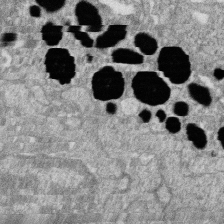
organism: Zebrafish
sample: Cilia; retinal pigment epithelium